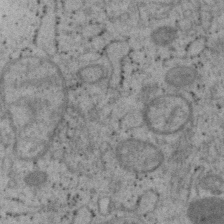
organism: Human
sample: HeLa cells